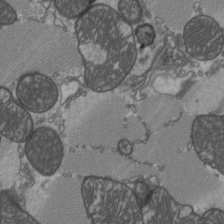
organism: C57BL Mouse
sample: Heart